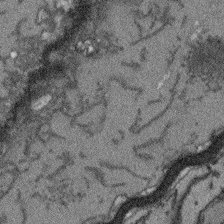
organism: Arabidopsis thaliana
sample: Root tip